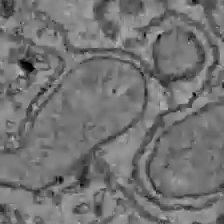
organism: C57BL Mouse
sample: Liver